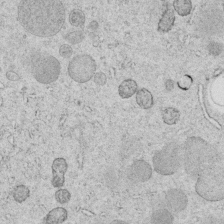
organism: C. elegans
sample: C. elegans embryo early stage